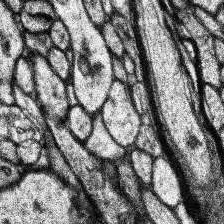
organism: Human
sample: Temporal Lobe